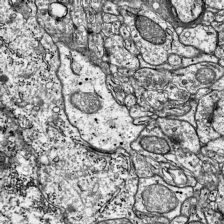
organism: Mouse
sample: Visual Cortex